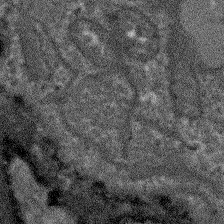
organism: Arabidopsis thaliana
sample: Root tip